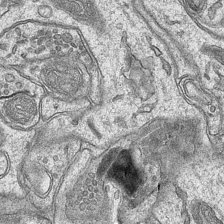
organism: Mouse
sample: CA1 Hippocampus